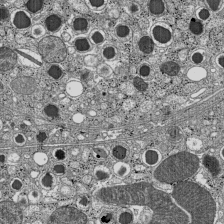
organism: C57BL Mouse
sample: Pancreatic islet